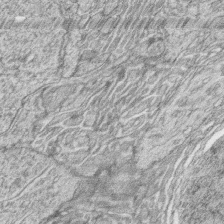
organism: Zebrafish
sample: synaptic ribbons in rod cells and cone cells